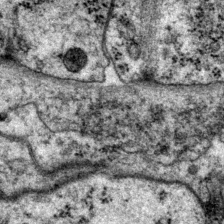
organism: P. pacificus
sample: Pharynx